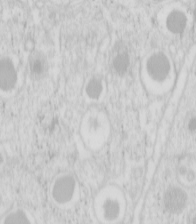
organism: Mouse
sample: Pancreas